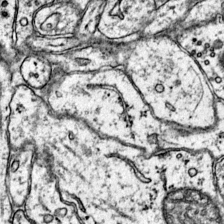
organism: Mouse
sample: Primary visual cortex